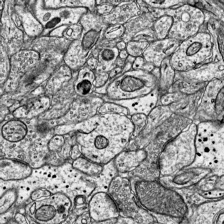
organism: Mouse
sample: Visual Cortex